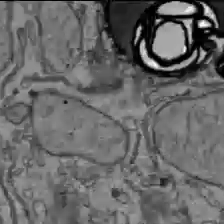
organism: C57BL Mouse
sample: Liver